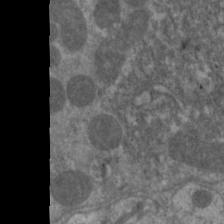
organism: C. elegans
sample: Pharynx